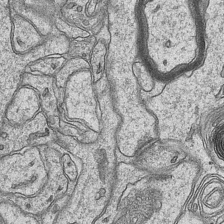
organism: Mouse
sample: CA1 Hippocampus